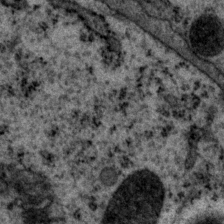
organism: P. pacificus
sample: Pharynx